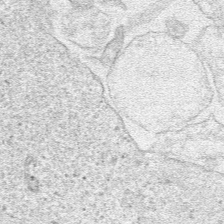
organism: Human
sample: Mitochondria in HCT116 cells